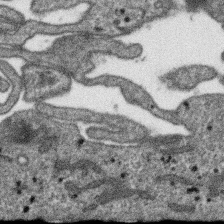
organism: Human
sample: Lung epithelial cells infected with SARS-CoV-2